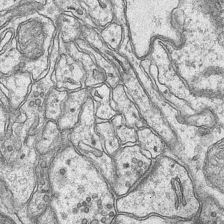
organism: Mouse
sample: CA1 Hippocampus